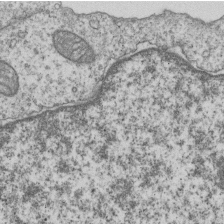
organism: Human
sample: MDA-MB-231 cells